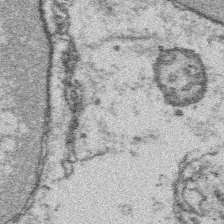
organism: Platynereis dumerilii